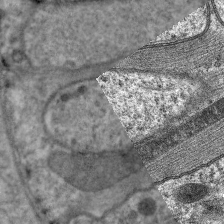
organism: C. elegans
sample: Pharynx